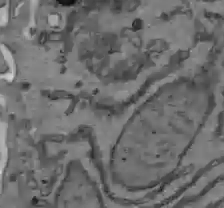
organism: C57BL Mouse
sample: Liver